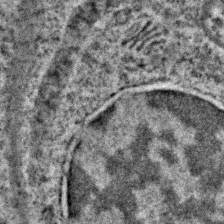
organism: C. elegans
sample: C. elegans embryo